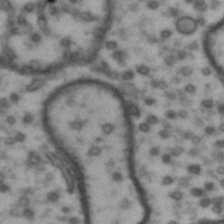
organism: Drosophila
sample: Brain